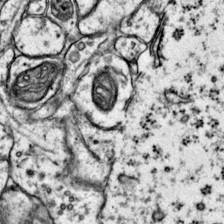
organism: Mouse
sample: Primary visual cortex